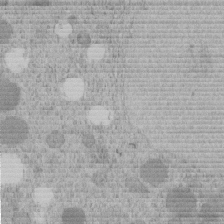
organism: C. elegans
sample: C. elegans embryo early stage